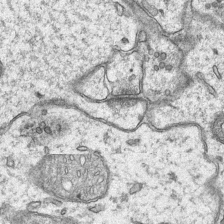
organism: Mouse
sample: CA1 Hippocampus